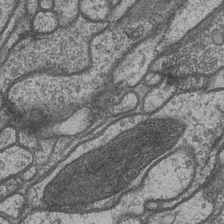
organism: Drosophila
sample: Optic medulla